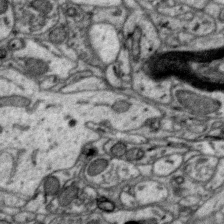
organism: Zebra finch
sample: Brain